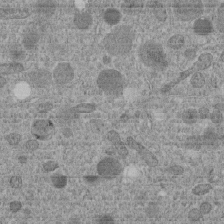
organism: C. elegans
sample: C. elegans embryo early stage